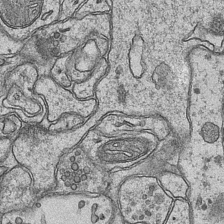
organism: Mouse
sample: CA1 Hippocampus